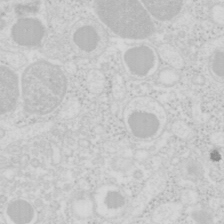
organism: Mouse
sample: Pancreas